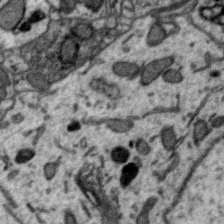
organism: Zebra finch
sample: Brain